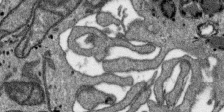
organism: Human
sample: Lung epithelial cells, uninfected (mock) control